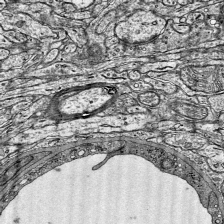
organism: Mouse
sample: Visual Cortex